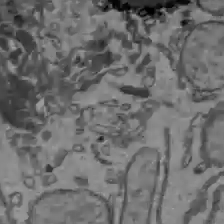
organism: C57BL Mouse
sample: Liver